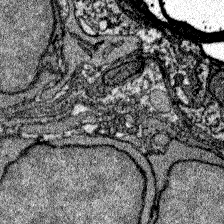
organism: Zebrafish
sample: Larval olfactory bulb